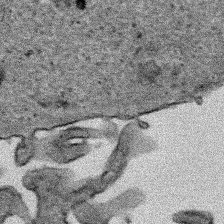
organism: Human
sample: Mitochondria in HCT116 cells